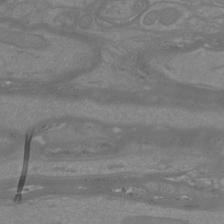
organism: Mouse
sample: Cortical neurons